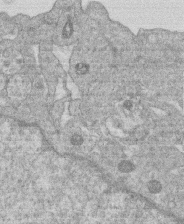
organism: Human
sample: Macrophage cells